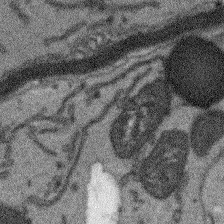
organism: Arabidopsis thaliana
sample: Root tip